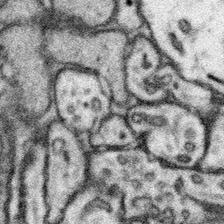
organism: Mouse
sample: Somatosensory cortex neuropil